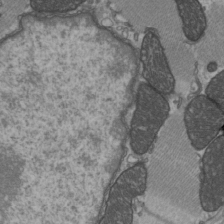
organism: C57BL Mouse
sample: Heart